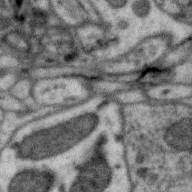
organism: Zebra finch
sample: Brain